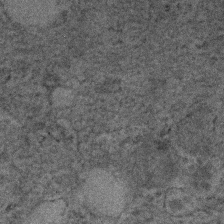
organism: Human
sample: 1205lu cells